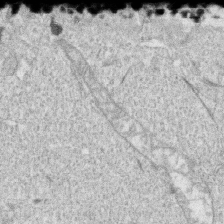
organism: Human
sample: HeLa cell HIV synapse